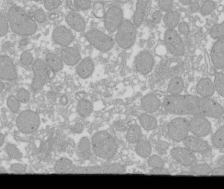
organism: Xenopus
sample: Cilia; centrioles in frog embryo cells